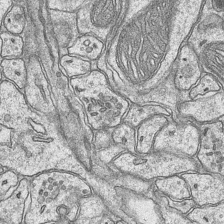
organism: Mouse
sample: CA1 Hippocampus